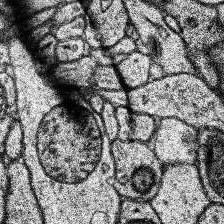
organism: Human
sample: Temporal Lobe